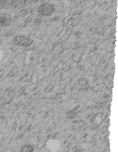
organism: C. elegans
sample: C. elegans embryo early stage